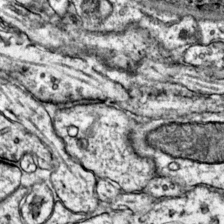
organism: Mouse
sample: Primary visual cortex